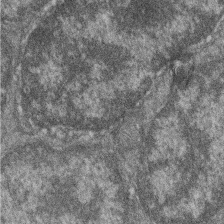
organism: Zebrafish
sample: Cilia; retinal pigment epithelium